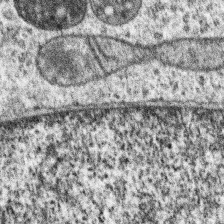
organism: Human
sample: HeLa cells